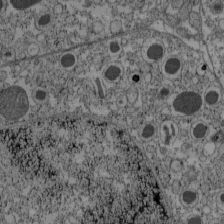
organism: C57BL Mouse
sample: Pancreatic islet